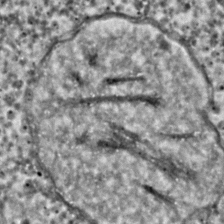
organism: C. elegans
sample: C. elegans embryo